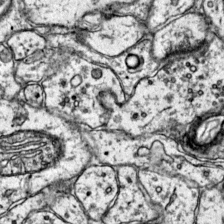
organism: Mouse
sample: Primary visual cortex